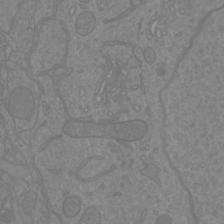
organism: Mouse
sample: Cortical neurons